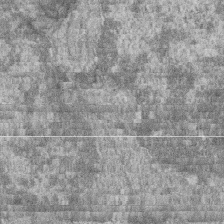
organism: Zebrafish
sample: Cilia; retinal pigment epithelium